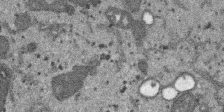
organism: Human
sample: Lung epithelial cells infected with SARS-CoV-2